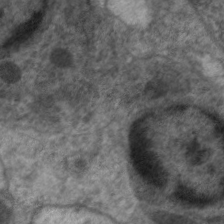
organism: C. elegans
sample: Pharynx